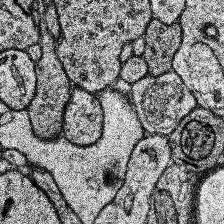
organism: Human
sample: Temporal Lobe